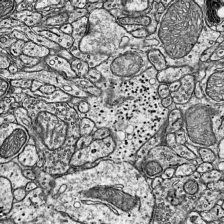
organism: Mouse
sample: Visual Cortex